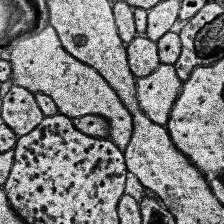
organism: Human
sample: Temporal Lobe